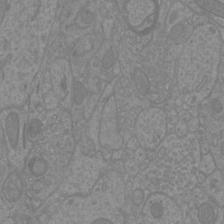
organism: Mouse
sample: Cortical neurons